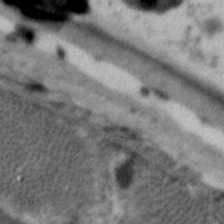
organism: C. elegans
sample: Pharynx